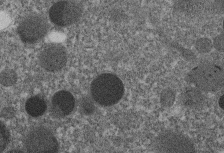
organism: C. elegans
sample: C. elegans embryo early stage